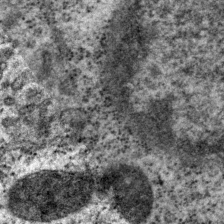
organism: P. pacificus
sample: Pharynx